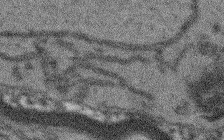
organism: Arabidopsis thaliana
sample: Root tip